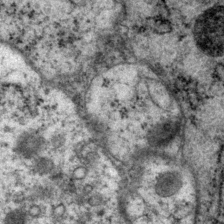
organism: P. pacificus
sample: Pharynx